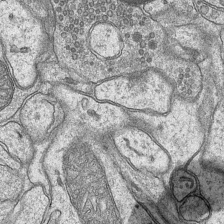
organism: Mouse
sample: CA1 Hippocampus